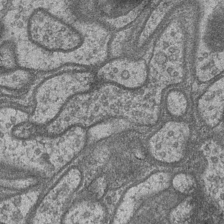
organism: Drosophila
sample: Optic medulla